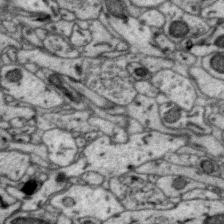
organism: Zebra finch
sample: Brain